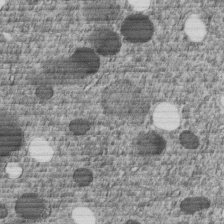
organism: C. elegans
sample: C. elegans embryo early stage